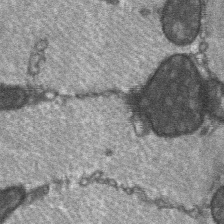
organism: C57BL Mouse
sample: Soleus